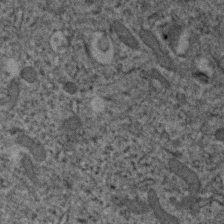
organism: Human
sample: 1205lu cells